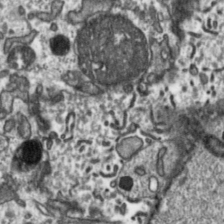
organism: Toxoplasma gondii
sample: Parasites in a vacuole inside a host cell